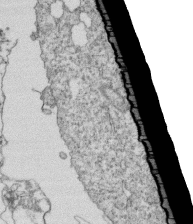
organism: Human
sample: HeLa cell HIV synapse